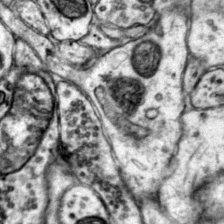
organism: Mouse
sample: Primary visual cortex